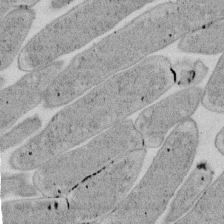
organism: E. coli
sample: Bacterial nucleoid